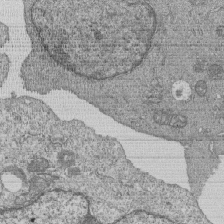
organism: Human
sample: MDA-MB-231 cells